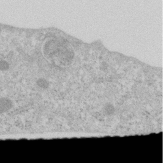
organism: Human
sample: Centriole in RPE cells